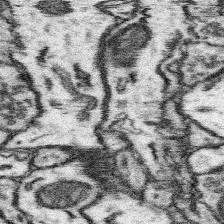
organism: Mouse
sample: Somatosensory cortex neuropil